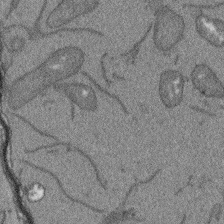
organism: Arabidopsis thaliana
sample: Root tip